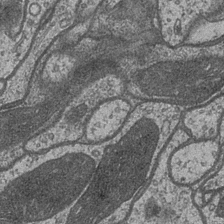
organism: Drosophila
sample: Optic medulla